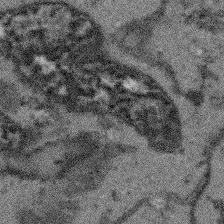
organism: Arabidopsis thaliana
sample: Root tip